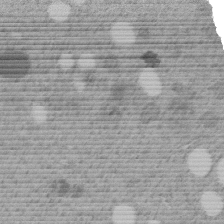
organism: C. elegans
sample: C. elegans embryo early stage